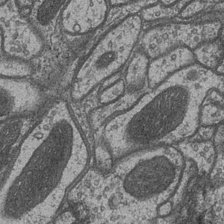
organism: Drosophila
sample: Optic medulla